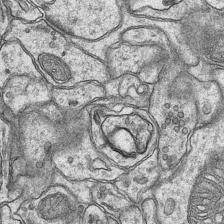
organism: Mouse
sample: CA1 Hippocampus